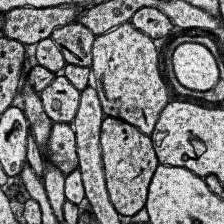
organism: Human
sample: Temporal Lobe